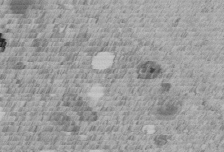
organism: C. elegans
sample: C. elegans embryo early stage